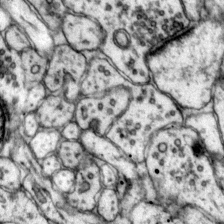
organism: Mouse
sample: Primary visual cortex